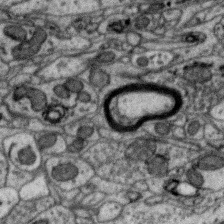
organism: Zebra finch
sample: Brain